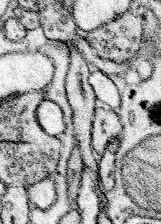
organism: Mouse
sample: Somatosensory cortex neuropil